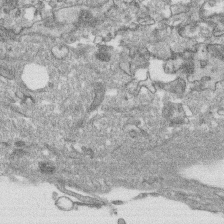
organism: Human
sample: CRL-1474